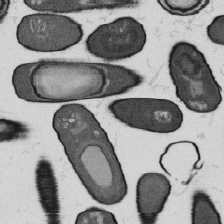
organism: B. subtilis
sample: Bacterial spore